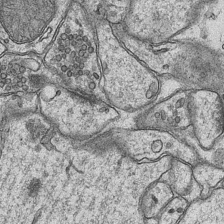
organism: Mouse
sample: CA1 Hippocampus